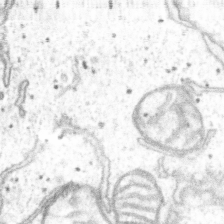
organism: Human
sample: HeLa cells